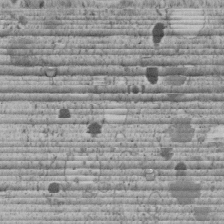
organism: C. elegans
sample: C. elegans embryo early stage